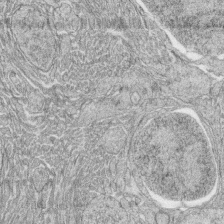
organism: Zebrafish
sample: synaptic ribbons in rod cells and cone cells